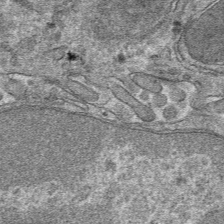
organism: Mouse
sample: Mouse hepatocytes